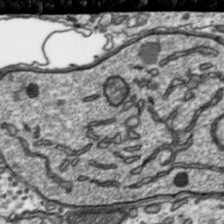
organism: Toxoplasma gondii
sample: Parasites in a vacuole inside a host cell